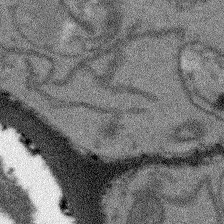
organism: Arabidopsis thaliana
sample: Root tip